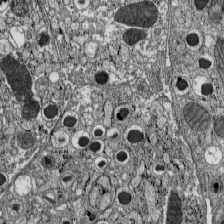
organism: C57BL Mouse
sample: Pancreatic islet